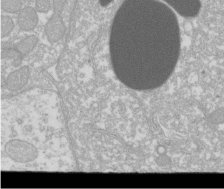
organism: Xenopus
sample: Cilia; centrioles in frog embryo cells